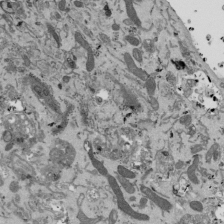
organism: Mouse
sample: ED-1 cell nuclei; centrioles